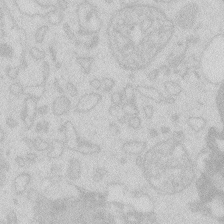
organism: Zebrafish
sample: Macrophage